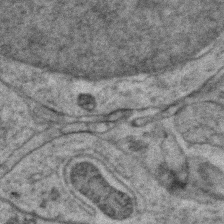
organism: Zebrafish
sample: Zebrafish embryo